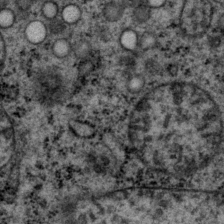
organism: P. pacificus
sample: Pharynx